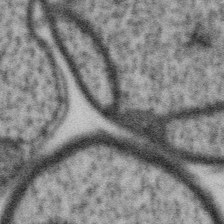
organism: Gemmata obscuriglobus